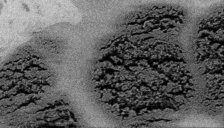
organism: Embia sp.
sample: Silk gland